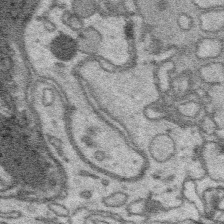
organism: Platynereis dumerilii